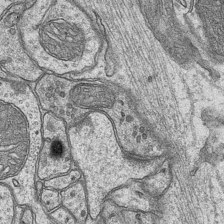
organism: Mouse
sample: CA1 Hippocampus